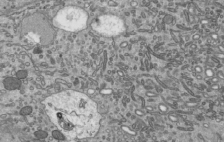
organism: Mouse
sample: Mouse epididymis efferent ductule cilia